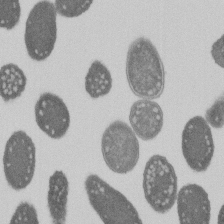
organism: E. coli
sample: Bacterial nucleoid